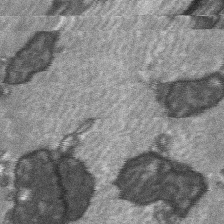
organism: C57BL Mouse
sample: Soleus